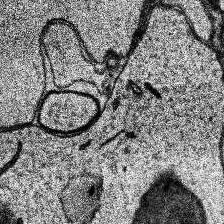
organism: Human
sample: Temporal Lobe